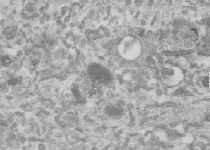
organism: Human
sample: Centriole in RPE cells